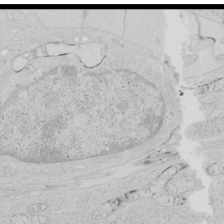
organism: Human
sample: Mitochondria in HCT116 cells